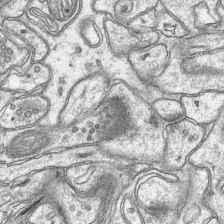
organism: Mouse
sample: CA1 Hippocampus